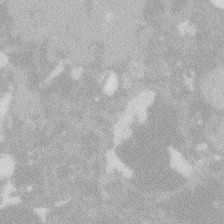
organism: Zebrafish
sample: Macrophage